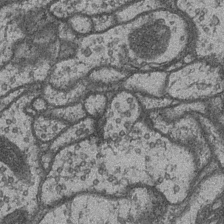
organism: Drosophila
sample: Optic medulla